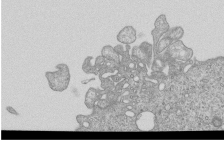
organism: Human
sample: MDA-MB-231 cells